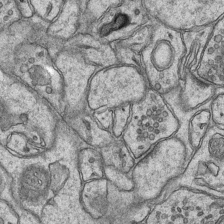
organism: Mouse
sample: CA1 Hippocampus